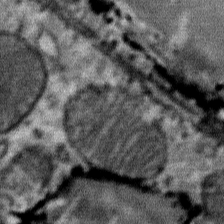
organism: Mouse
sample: Mouse Salivary gland